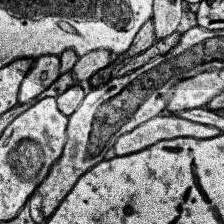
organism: Human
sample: Temporal Lobe